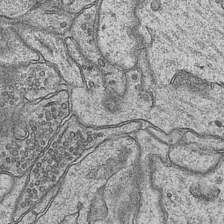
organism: Mouse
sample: CA1 Hippocampus